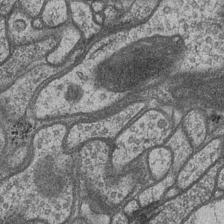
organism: Drosophila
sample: Optic medulla